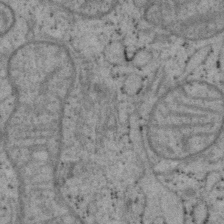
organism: Human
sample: HeLa cells